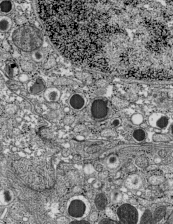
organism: C57BL Mouse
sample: Pancreatic islet